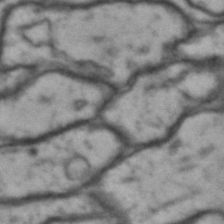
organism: Drosophila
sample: Brain